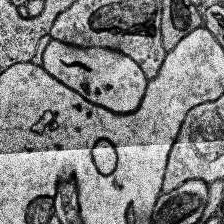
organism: Human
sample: Temporal Lobe